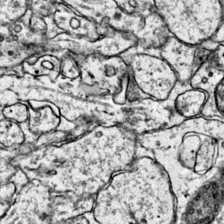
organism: Mouse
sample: Primary visual cortex